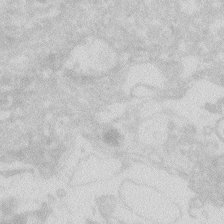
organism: Zebrafish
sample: Macrophage